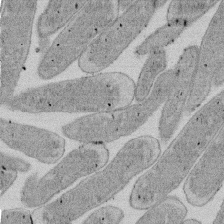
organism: E. coli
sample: Bacterial nucleoid